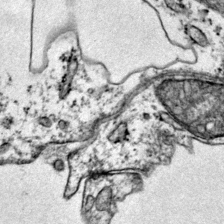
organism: Mouse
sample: Primary visual cortex